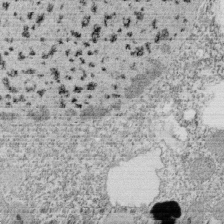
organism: Tetrahymena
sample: Cilia in tetrahymena